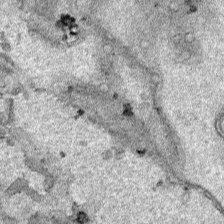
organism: Human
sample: Mitochondria in HCT116 cells